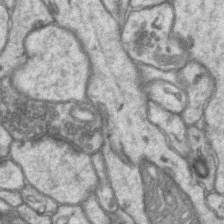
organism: Mouse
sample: CA1 Hippocampus